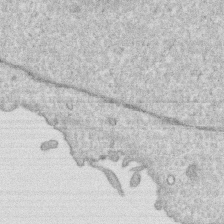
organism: Human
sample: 1205lu cells